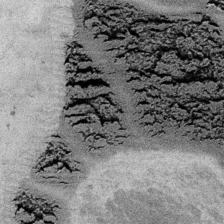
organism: Embia sp.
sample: Silk gland